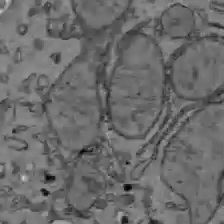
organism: C57BL Mouse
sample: Liver